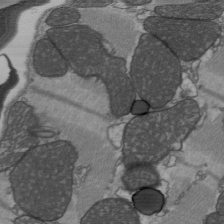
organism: C57BL Mouse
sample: Heart